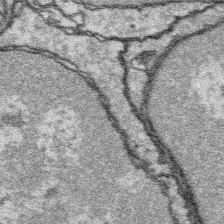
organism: Platynereis dumerilii